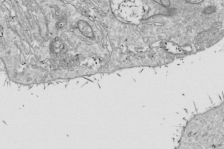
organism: Drosophila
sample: Cell division; meiosis; drosophila spermatocytes